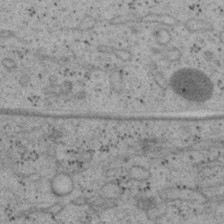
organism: Human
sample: HeLa cells